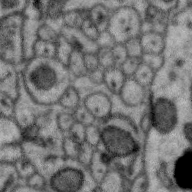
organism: Zebra finch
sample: Brain